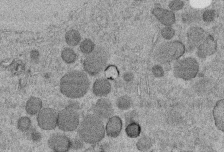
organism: C. elegans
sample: C. elegans embryo early stage